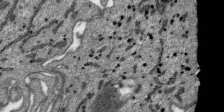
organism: Human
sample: Lung epithelial cells, uninfected (mock) control